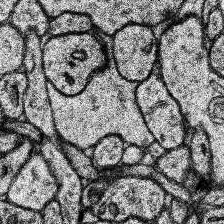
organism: Human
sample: Temporal Lobe